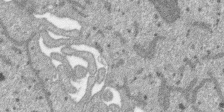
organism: Human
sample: Lung epithelial cells infected with SARS-CoV-2